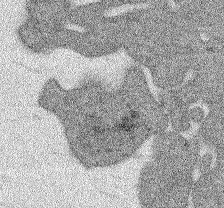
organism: Human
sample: HeLa cells